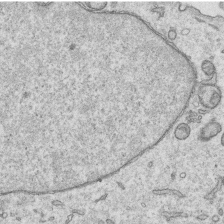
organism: Human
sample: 1205lu cells